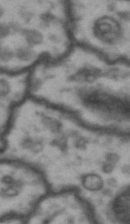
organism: Drosophila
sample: Brain